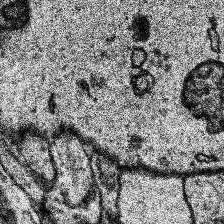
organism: Human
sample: Temporal Lobe